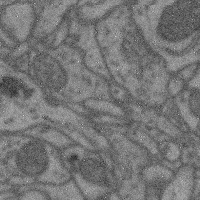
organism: Mouse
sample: Cerebral cortex